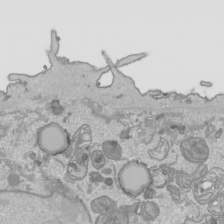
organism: Human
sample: Mitochondria in HCT116 cells